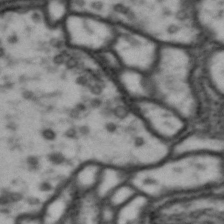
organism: Drosophila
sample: Brain